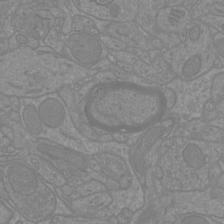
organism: Mouse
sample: Cortical neurons